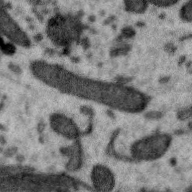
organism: Zebra finch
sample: Brain